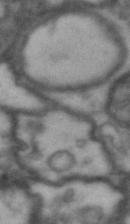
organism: Drosophila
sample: Brain